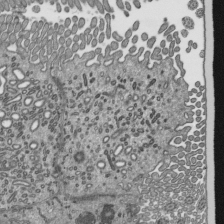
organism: Mouse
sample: Mouse epididymis efferent ductule cilia